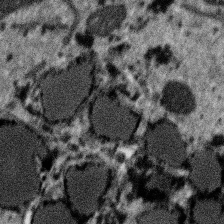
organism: Human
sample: Lung epithelial cells infected with SARS-CoV-2